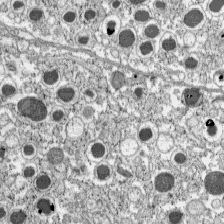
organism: C57BL Mouse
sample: Pancreatic islet